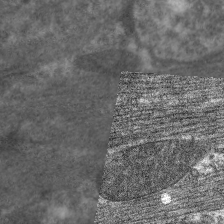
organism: C. elegans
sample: Pharynx